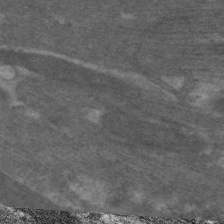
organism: C. elegans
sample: Pharynx